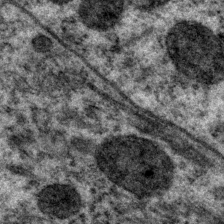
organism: P. pacificus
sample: Pharynx